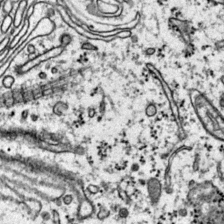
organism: Mouse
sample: Primary visual cortex